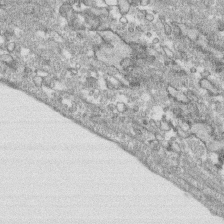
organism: Human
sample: CRL-1474